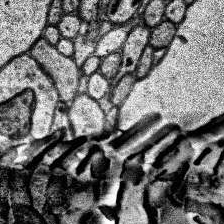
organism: Human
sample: Temporal Lobe